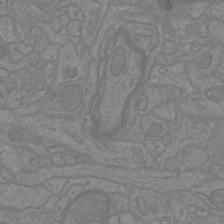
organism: Mouse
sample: Cortical neurons